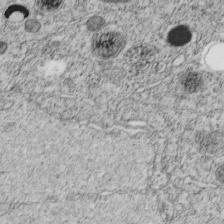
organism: C. elegans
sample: C. elegans embryo early stage